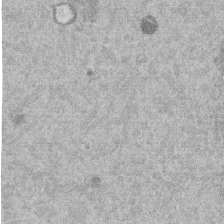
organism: Mouse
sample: Dividing mouse embryo 1 cell stage